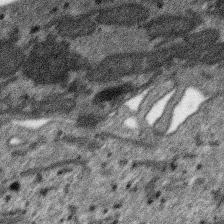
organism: Human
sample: Lung epithelial cells infected with SARS-CoV-2